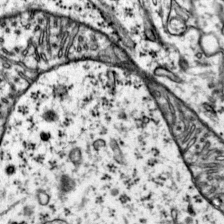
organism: Mouse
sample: Primary visual cortex